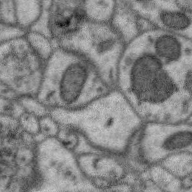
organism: Zebra finch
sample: Brain